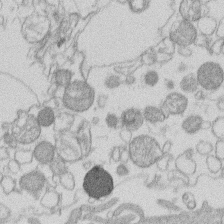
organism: Human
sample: Macrophage cells